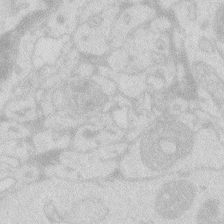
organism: Zebrafish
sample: Macrophage